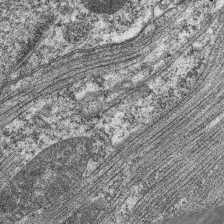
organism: C. elegans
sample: Pharynx